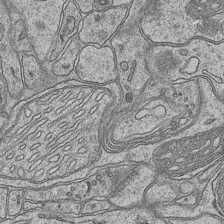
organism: Mouse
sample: CA1 Hippocampus